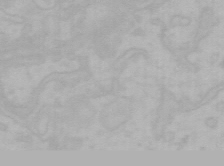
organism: Mouse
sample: Choroid plexus